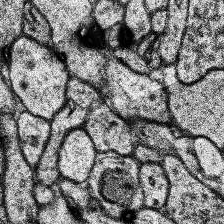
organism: Human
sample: Temporal Lobe